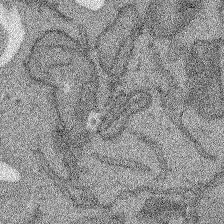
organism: Human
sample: HeLa cells